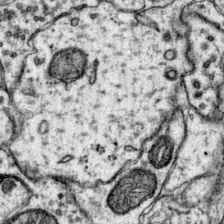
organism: Mouse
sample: Primary visual cortex